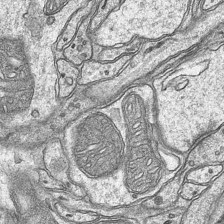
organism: Mouse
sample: CA1 Hippocampus